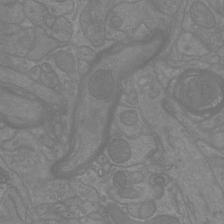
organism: Mouse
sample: Cortical neurons